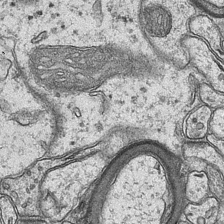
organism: Mouse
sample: CA1 Hippocampus